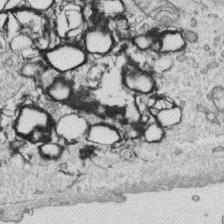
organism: Human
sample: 1205lu cells